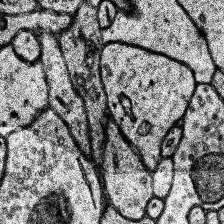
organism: Human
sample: Temporal Lobe